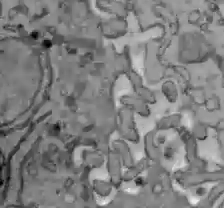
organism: C57BL Mouse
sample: Liver